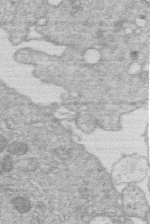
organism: Human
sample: Macrophage cells